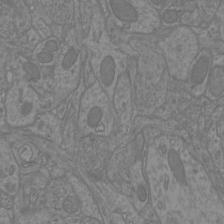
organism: Mouse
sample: Cortical neurons